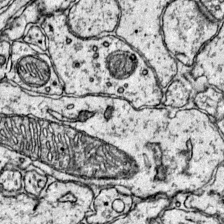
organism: Mouse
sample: Primary visual cortex